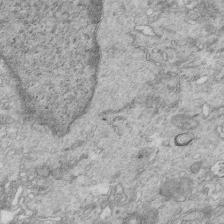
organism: Mouse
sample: Multiciliated cells